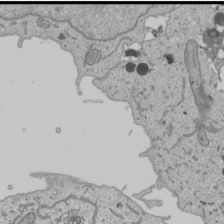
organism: Human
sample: Mitochondria in U2OS cells